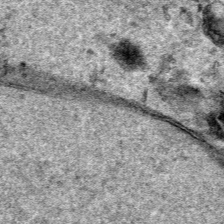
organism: Human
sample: Mitochondria in HCT116 cells